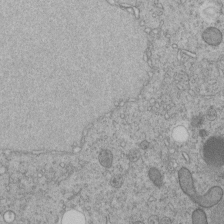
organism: C. elegans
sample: C. elegans embryo early stage